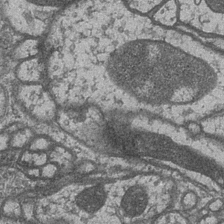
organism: Drosophila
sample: Optic medulla